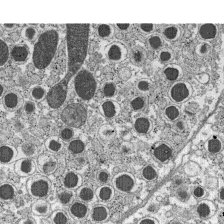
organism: C57BL Mouse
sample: Pancreatic islet